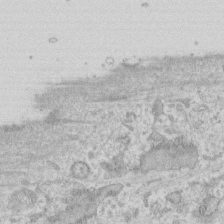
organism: Human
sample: Fibroblast cells